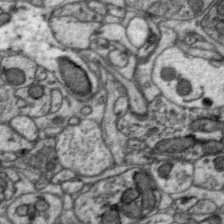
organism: Zebra finch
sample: Brain